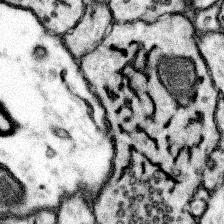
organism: Mouse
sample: Somatosensory cortex neuropil